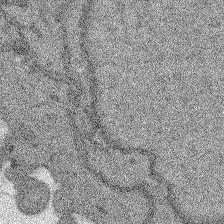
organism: Human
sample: HeLa cells